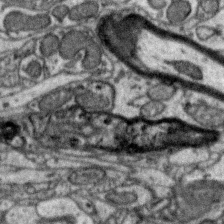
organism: Zebra finch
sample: Brain